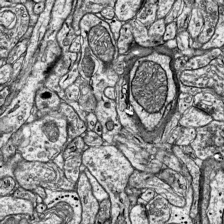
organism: Mouse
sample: Visual Cortex